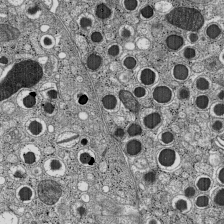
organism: C57BL Mouse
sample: Pancreatic islet